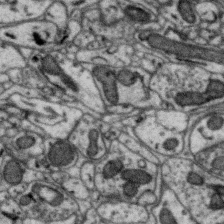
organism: Zebra finch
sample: Brain